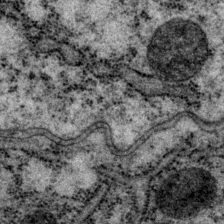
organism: P. pacificus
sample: Pharynx